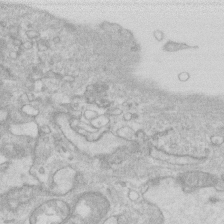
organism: Human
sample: Fibroblast cells